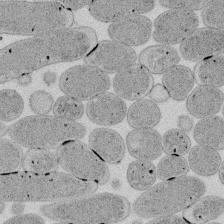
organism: E. coli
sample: Bacterial nucleoid